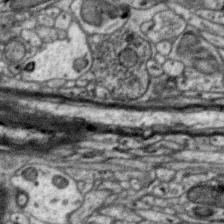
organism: Zebra finch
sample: Brain